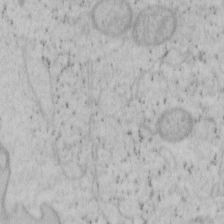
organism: Human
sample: HeLa cells